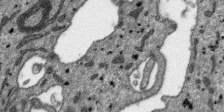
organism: Human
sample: Lung epithelial cells, uninfected (mock) control